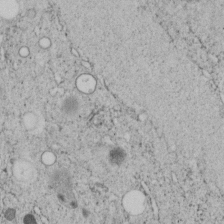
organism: C. elegans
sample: C. elegans embryo early stage